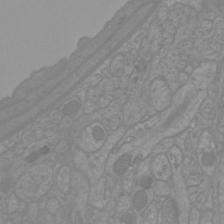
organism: Mouse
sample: Cortical neurons